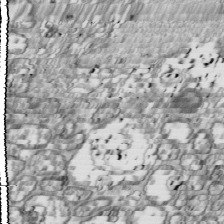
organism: Drosophila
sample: Cell division; meiosis; drosophila spermatocytes